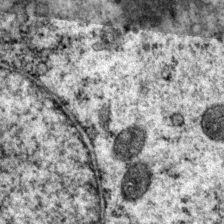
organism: P. pacificus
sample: Pharynx